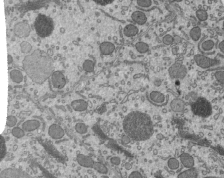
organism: Mouse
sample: Mouse epididymis efferent ductule cilia